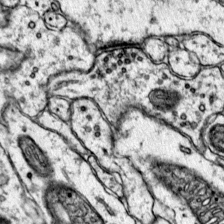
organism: Mouse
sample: Primary visual cortex